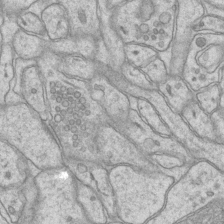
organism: Mouse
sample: CA1 Hippocampus